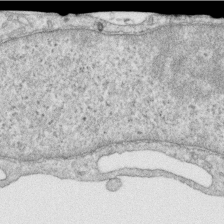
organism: Human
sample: Centriole in RPE cells